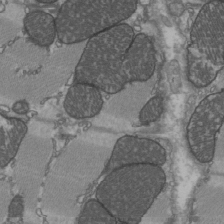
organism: C57BL Mouse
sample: Heart